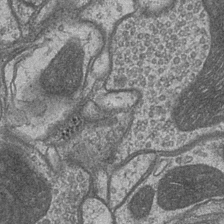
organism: Drosophila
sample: Optic medulla